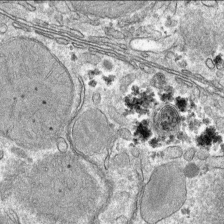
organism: Mouse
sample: Mouse hepatocytes